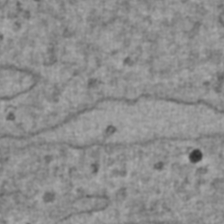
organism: Human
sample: Blood